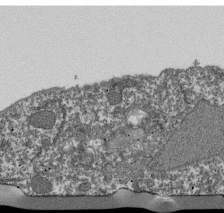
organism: Dictyostelium discoideum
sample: Dictyostelium multivesicular bodies